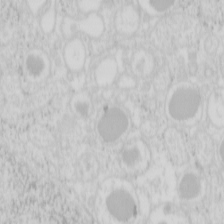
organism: Mouse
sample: Pancreas